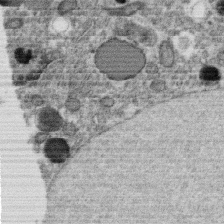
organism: C. elegans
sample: C. elegans oocyte; sperm cells